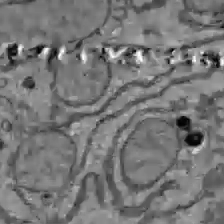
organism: C57BL Mouse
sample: Liver